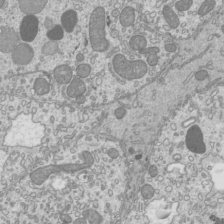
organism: Mouse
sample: Cilia; mouse epididymis